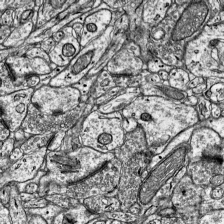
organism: Mouse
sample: Visual Cortex